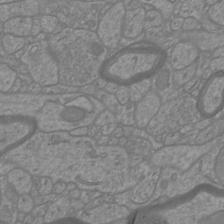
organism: Mouse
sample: Cortical neurons